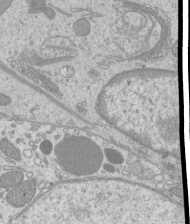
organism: Mouse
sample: Cilia; mouse epididymis